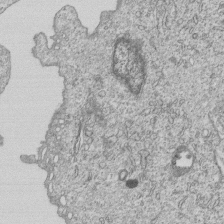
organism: Human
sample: MDA-MB-231 cells